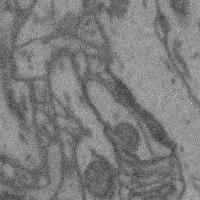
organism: Mouse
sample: Cerebral cortex